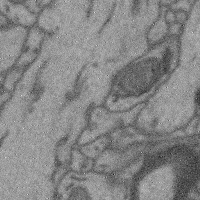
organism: Mouse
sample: Cerebral cortex